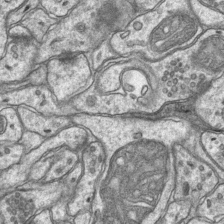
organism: Mouse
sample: CA1 Hippocampus